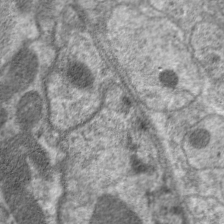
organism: C. elegans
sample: Pharynx